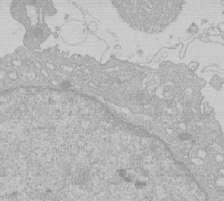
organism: Human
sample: Macrophage cells